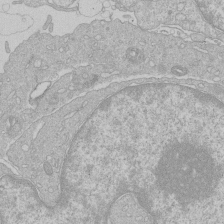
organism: Human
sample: Macrophage cells